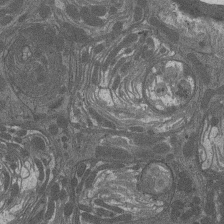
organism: Drosophila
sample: Antenna